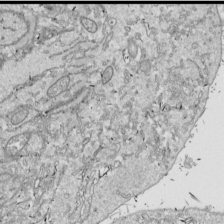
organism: Drosophila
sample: Cell division; meiosis; drosophila spermatocytes